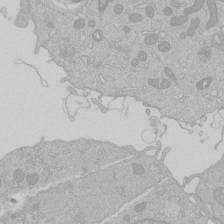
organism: Human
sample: Macrophage cells